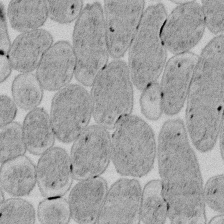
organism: E. coli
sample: Bacterial nucleoid